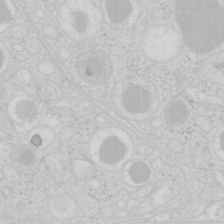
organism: Mouse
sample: Pancreas